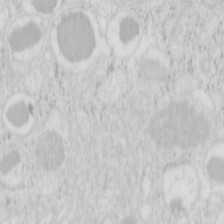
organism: Mouse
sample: Pancreas